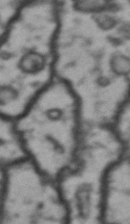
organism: Drosophila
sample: Brain